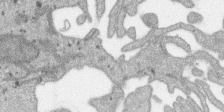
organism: Human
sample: Lung epithelial cells infected with SARS-CoV-2